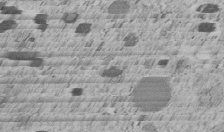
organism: C. elegans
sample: C. elegans embryo early stage